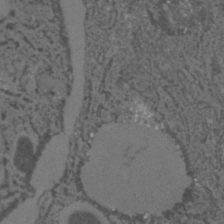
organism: C. elegans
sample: C. elegans embryo